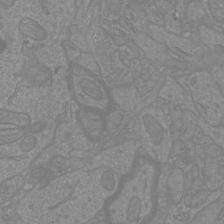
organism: Mouse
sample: Cortical neurons